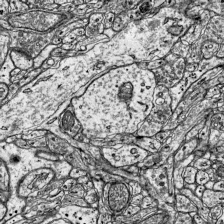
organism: Mouse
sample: Visual Cortex